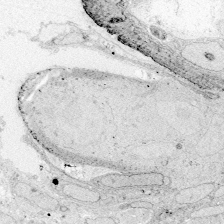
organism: Zebrafish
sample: Whole-Brain